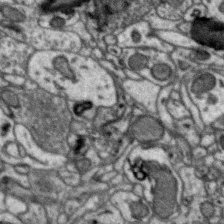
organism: Zebra finch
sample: Brain